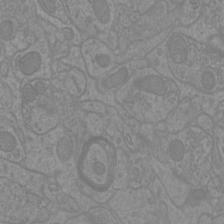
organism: Mouse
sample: Cortical neurons